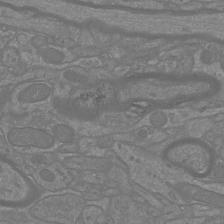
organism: Mouse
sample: Cortical neurons